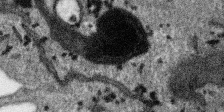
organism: Human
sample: Lung epithelial cells infected with SARS-CoV-2